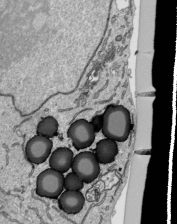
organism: Human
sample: Mitochondria in HCT116 cells